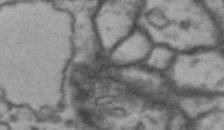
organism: Drosophila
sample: Brain